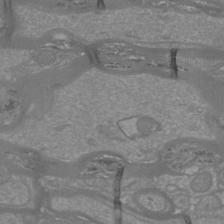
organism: Mouse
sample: Cortical neurons